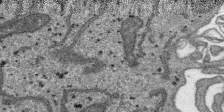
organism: Human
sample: Lung epithelial cells infected with SARS-CoV-2